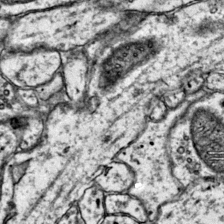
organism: Mouse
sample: Primary visual cortex